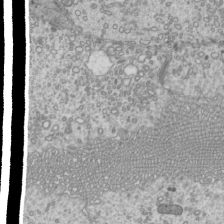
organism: Mouse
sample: Cilia; mouse epididymis